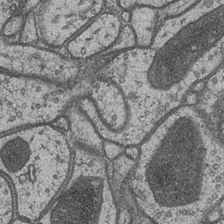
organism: Drosophila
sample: Optic medulla